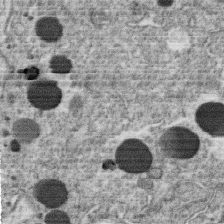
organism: C. elegans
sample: C. elegans oocyte; sperm cells